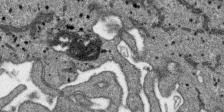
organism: Human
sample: Lung epithelial cells, uninfected (mock) control